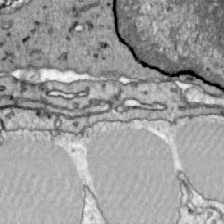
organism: Zebrafish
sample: Actinotrichia fibers